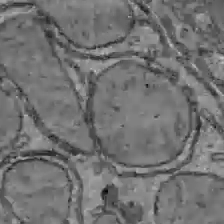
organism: C57BL Mouse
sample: Liver